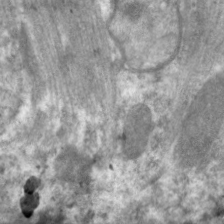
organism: C. elegans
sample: Pharynx